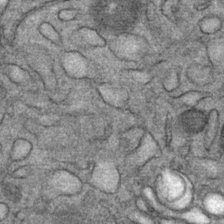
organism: Mouse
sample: Mouse Salivary gland